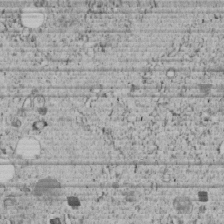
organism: C. elegans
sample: C. elegans embryo early stage